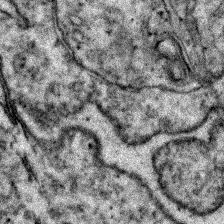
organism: Zebrafish